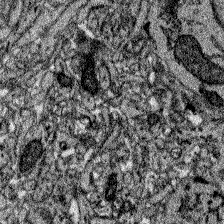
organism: Zebrafish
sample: Larval olfactory bulb